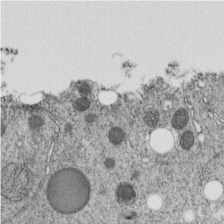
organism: C. elegans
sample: C. elegans embryo early stage